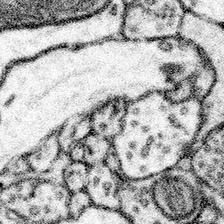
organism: Mouse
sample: Somatosensory cortex neuropil